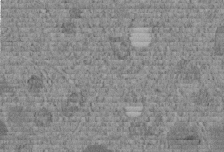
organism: C. elegans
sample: C. elegans embryo early stage